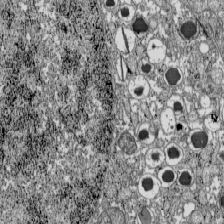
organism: C57BL Mouse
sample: Pancreatic islet